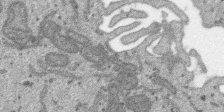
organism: Human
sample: Lung epithelial cells infected with SARS-CoV-2